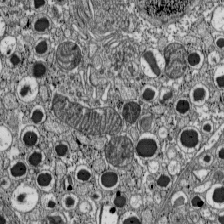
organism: C57BL Mouse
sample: Pancreatic islet